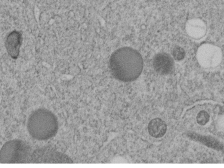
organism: C. elegans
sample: C. elegans embryo early stage